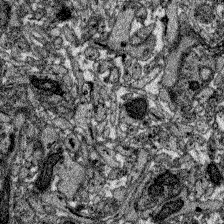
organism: Zebrafish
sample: Larval olfactory bulb